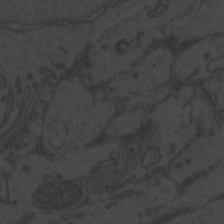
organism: Zebrafish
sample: Macrophage infected with Toxoplasma gondii